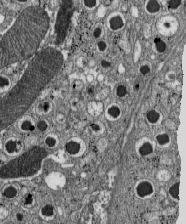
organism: C57BL Mouse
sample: Pancreatic islet